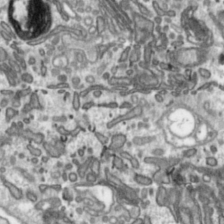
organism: Toxoplasma gondii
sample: Parasites in a vacuole inside a host cell